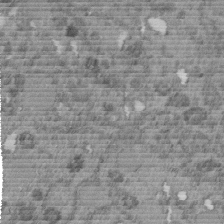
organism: C. elegans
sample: C. elegans embryo early stage